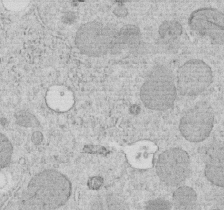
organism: C. elegans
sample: C. elegans embryo early stage